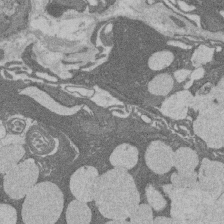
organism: Rat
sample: Salivary granule